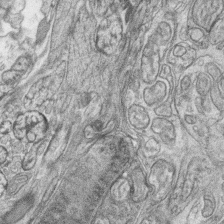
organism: Zebrafish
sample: synaptic ribbons in rod cells and cone cells